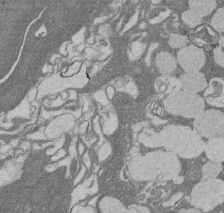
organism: Rat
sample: Salivary granule